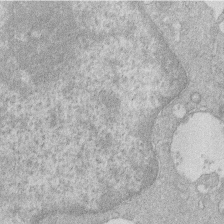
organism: Human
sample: Macrophage cells